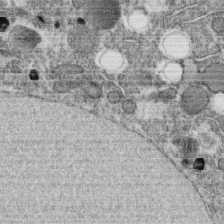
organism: C. elegans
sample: C. elegans oocyte; sperm cells